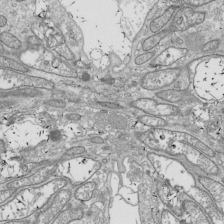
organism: Drosophila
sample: Cell division; meiosis; drosophila spermatocytes